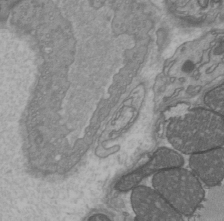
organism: C57BL Mouse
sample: Heart